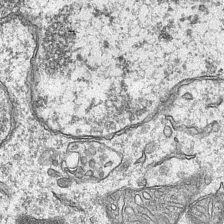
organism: Mouse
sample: CA1 Hippocampus